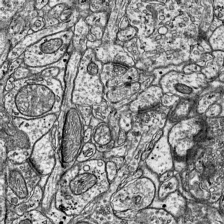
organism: Mouse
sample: Visual Cortex